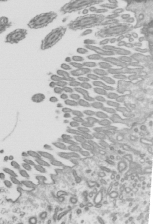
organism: Mouse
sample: Mouse epididymis efferent ductule cilia